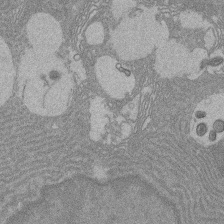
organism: Rat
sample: Salivary granule